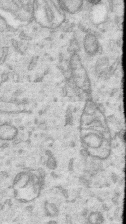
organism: Human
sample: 1205lu cells